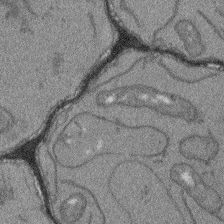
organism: Arabidopsis thaliana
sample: Root tip